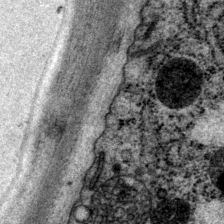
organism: P. pacificus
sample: Pharynx